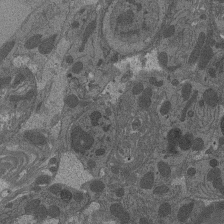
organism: Drosophila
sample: Antenna